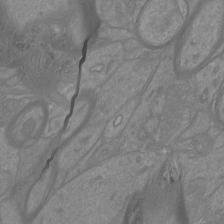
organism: Mouse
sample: Cortical neurons